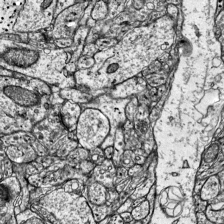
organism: Mouse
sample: Visual Cortex